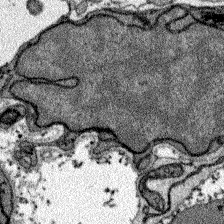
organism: Zebrafish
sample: Larval olfactory bulb